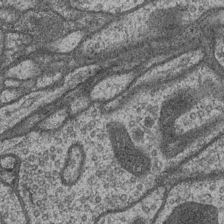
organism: Drosophila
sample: Optic medulla